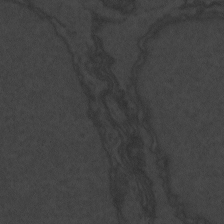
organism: Zebrafish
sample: Macrophage infected with Toxoplasma gondii